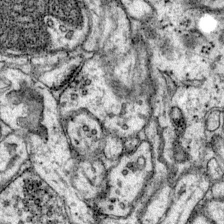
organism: Mouse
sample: Primary visual cortex